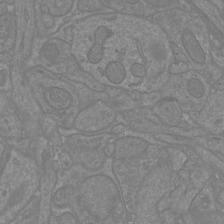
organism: Mouse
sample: Cortical neurons